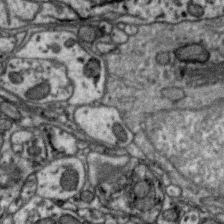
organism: Zebra finch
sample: Brain